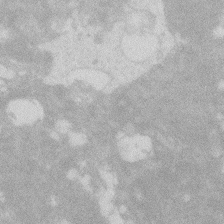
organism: Zebrafish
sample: Macrophage